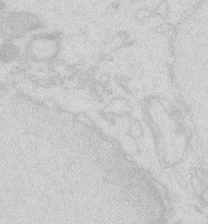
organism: Zebrafish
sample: Macrophage